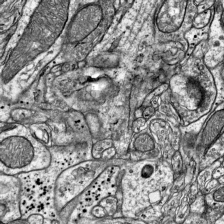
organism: Mouse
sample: Visual Cortex